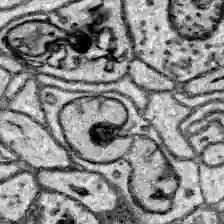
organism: Zebrafish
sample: Brain